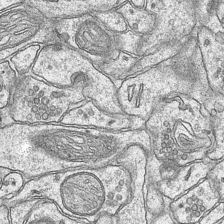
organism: Mouse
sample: CA1 Hippocampus